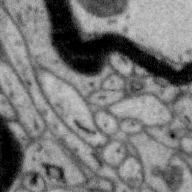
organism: Zebra finch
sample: Brain